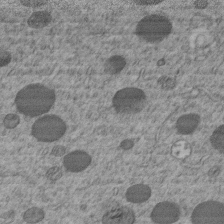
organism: C. elegans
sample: C. elegans embryo early stage